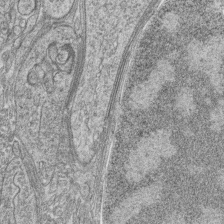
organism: Zebrafish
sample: synaptic ribbons in rod cells and cone cells